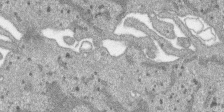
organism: Human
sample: Lung epithelial cells infected with SARS-CoV-2